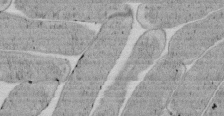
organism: E. coli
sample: Bacterial nucleoid